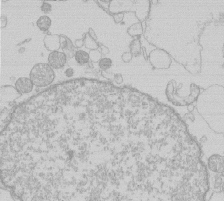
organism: Human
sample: Macrophage cells